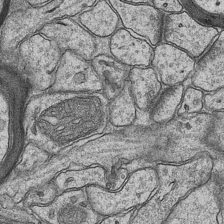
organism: Mouse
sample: CA1 Hippocampus